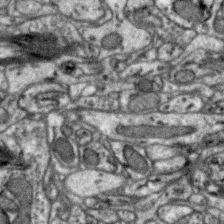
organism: Zebra finch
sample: Brain